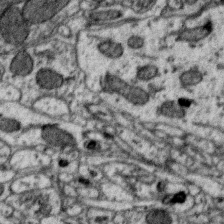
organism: Zebra finch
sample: Brain